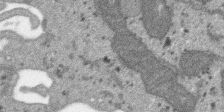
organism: Human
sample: Lung epithelial cells infected with SARS-CoV-2